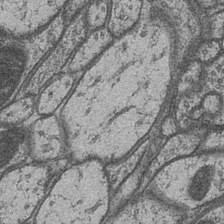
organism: Drosophila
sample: Optic medulla